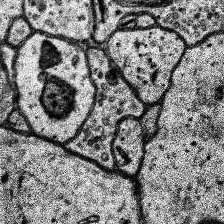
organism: Human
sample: Temporal Lobe